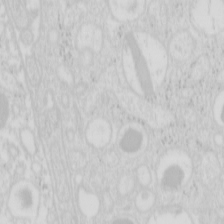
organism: Mouse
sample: Pancreas